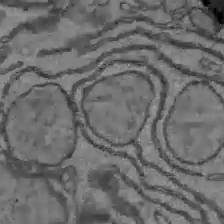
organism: C57BL Mouse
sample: Liver